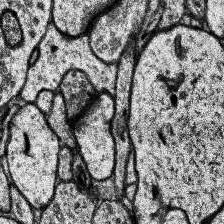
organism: Human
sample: Temporal Lobe